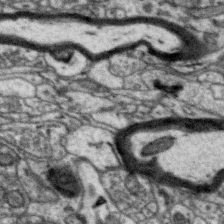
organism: Zebra finch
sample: Brain